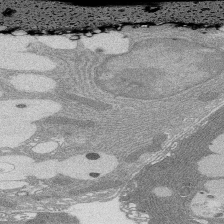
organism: Rat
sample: Salivary granule